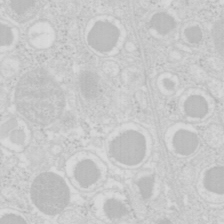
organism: Mouse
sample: Pancreas